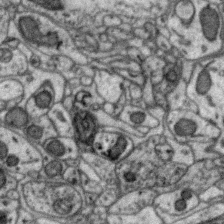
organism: Zebra finch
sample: Brain